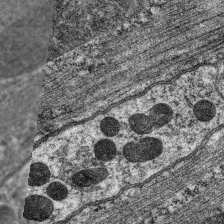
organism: C. elegans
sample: Pharynx